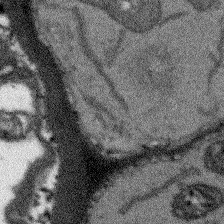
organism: Arabidopsis thaliana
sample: Root tip